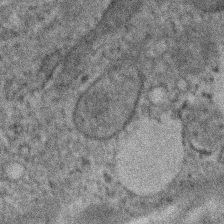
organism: Human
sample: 1205lu cells